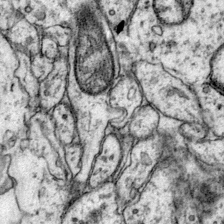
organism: Mouse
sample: Primary visual cortex